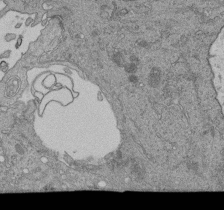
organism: Human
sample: Retinal organoid Rod and Cone cells